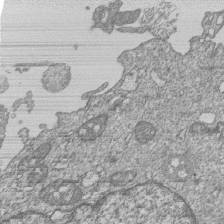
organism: Human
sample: MDA-MB-231 cells